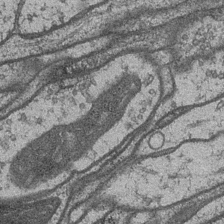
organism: Drosophila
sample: Optic medulla